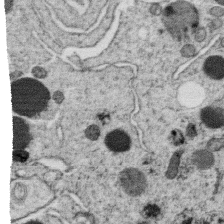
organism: C. elegans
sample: C. elegans oocyte; sperm cells